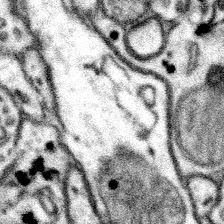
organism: Mouse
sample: Somatosensory cortex neuropil